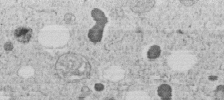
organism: C. elegans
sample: C. elegans embryo early stage